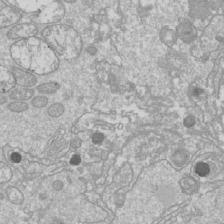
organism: Drosophila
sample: Cell division; meiosis; drosophila spermatocytes